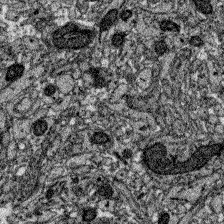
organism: Zebrafish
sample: Larval olfactory bulb